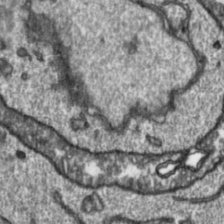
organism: Toxoplasma gondii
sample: Parasites in a vacuole inside a host cell